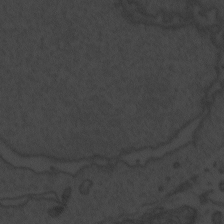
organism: Zebrafish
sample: Macrophage infected with Toxoplasma gondii